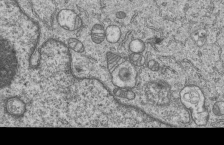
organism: Human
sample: MDA-MB-231 cells